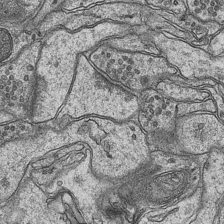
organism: Mouse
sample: CA1 Hippocampus